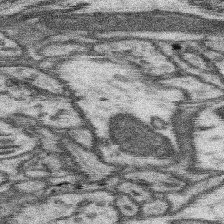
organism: Mouse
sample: Somatosensory cortex neuropil